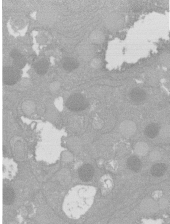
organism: C. elegans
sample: C. elegans oocyte; sperm cells